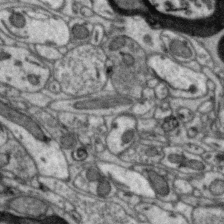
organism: Zebra finch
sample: Brain